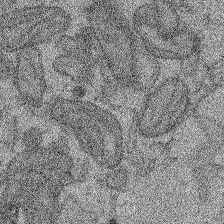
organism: Human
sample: HeLa cells